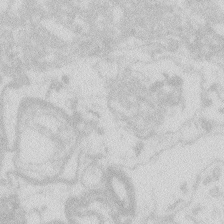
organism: Zebrafish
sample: Macrophage